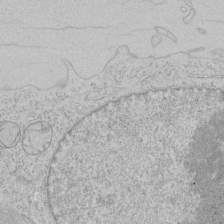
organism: Human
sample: Mitochondria in HCT116 cells